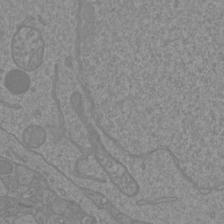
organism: Mouse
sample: Cortical neurons